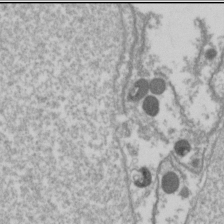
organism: Drosophila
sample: Cell division; meiosis; drosophila spermatocytes